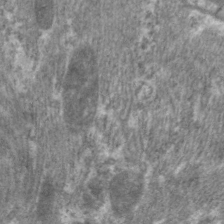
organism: C. elegans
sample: Pharynx